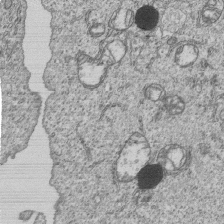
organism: Human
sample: MDA-MB-231 cells